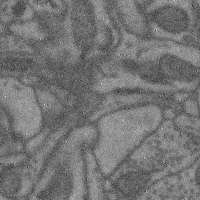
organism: Mouse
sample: Cerebral cortex